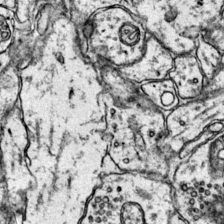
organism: Mouse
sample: Primary visual cortex